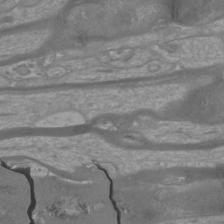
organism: Mouse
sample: Cortical neurons